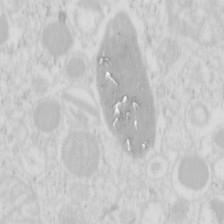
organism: Mouse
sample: Pancreas